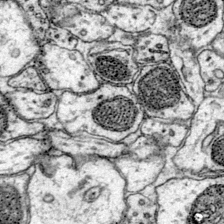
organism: Mouse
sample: Primary visual cortex